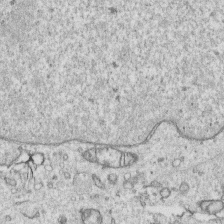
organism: Human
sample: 1205lu cells